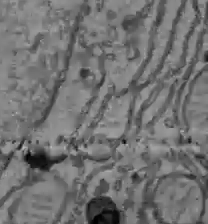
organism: C57BL Mouse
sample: Liver